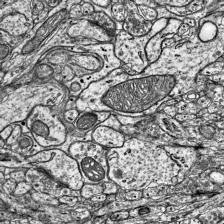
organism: Mouse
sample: Visual Cortex